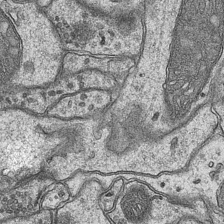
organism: Mouse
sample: CA1 Hippocampus